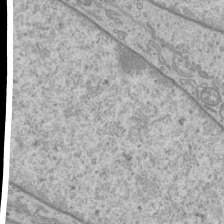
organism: Mouse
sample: Cilia; mouse epididymis